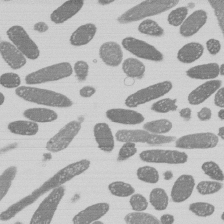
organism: E. coli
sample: Bacterial nucleoid